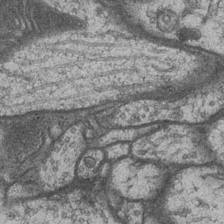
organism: Drosophila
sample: Optic medulla